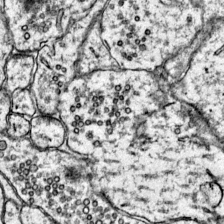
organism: Mouse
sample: Primary visual cortex